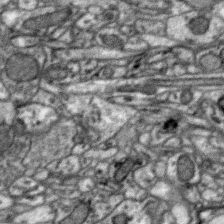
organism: Zebra finch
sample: Brain